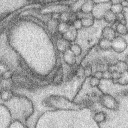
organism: Rabbit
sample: Retina